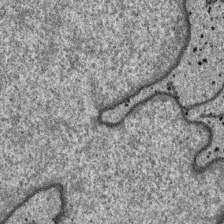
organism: Human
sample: Lung epithelial cells, uninfected (mock) control